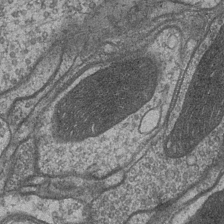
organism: Drosophila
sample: Optic medulla